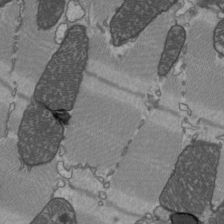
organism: C57BL Mouse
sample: Heart